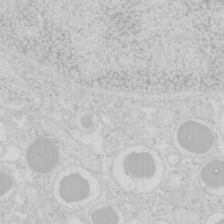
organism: Mouse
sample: Pancreas